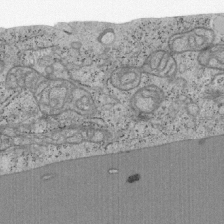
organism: Human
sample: HeLa cells